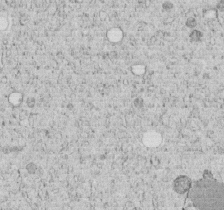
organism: C. elegans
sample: C. elegans embryo early stage